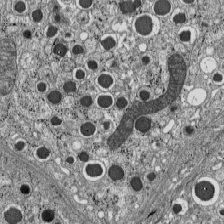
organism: C57BL Mouse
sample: Pancreatic islet